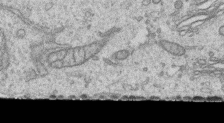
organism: Human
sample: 1205lu cells